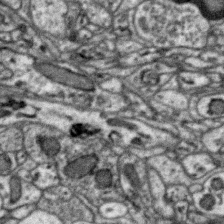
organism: Zebra finch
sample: Brain